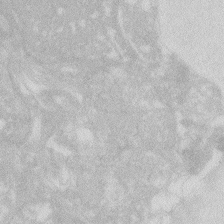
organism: Zebrafish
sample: Macrophage